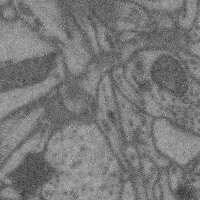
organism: Mouse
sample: Cerebral cortex